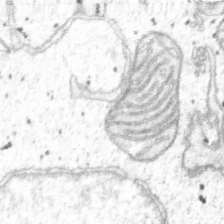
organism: Human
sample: HeLa cells